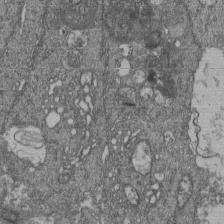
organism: Human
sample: Retinal organoid Rod and Cone cells